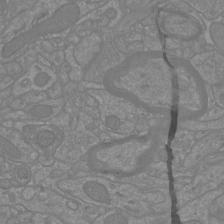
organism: Mouse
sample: Cortical neurons